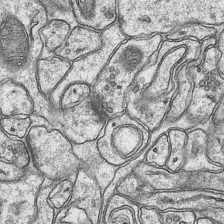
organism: Mouse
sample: CA1 Hippocampus